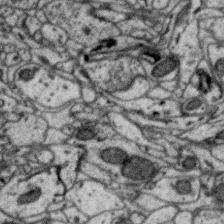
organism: Zebra finch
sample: Brain